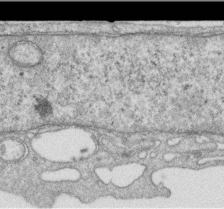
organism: Human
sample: Centriole in RPE cells